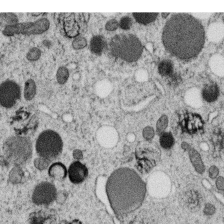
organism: C. elegans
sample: C. elegans oocyte; sperm cells